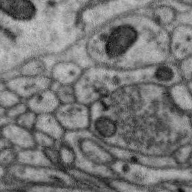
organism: Zebra finch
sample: Brain